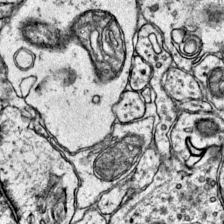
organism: Mouse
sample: Primary visual cortex